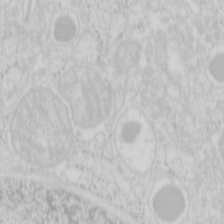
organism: Mouse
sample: Pancreas